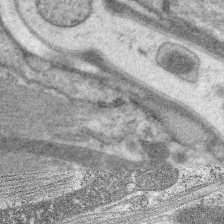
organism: C. elegans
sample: Pharynx